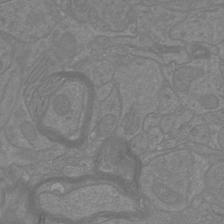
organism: Mouse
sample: Cortical neurons